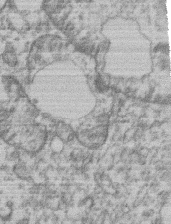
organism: Mouse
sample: T cell stromal cell synapse